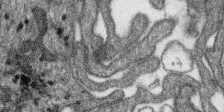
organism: Human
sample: Lung epithelial cells infected with SARS-CoV-2